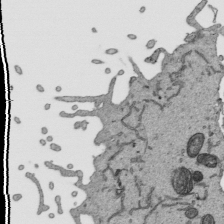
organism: Human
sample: Mitochondria in HCT116 cells